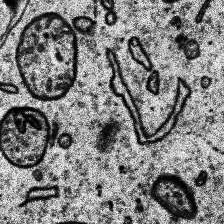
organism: Human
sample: Temporal Lobe